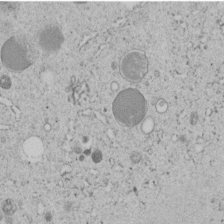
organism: C. elegans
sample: C. elegans embryo early stage